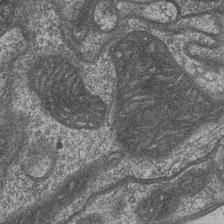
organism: Drosophila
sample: Optic medulla